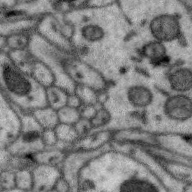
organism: Zebra finch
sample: Brain